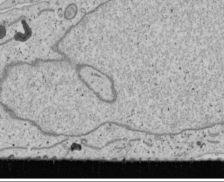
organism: Human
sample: Mitochondria in U2OS cells